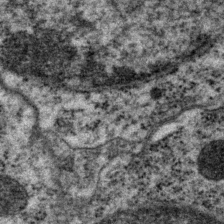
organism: P. pacificus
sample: Pharynx